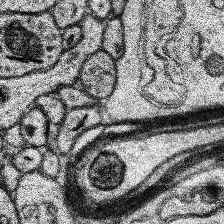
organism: Human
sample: Temporal Lobe